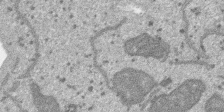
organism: Human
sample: Lung epithelial cells infected with SARS-CoV-2